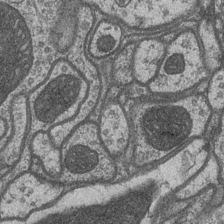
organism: Drosophila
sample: Optic medulla